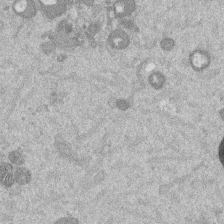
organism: Mouse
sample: Dividing mouse embryo 1 cell stage